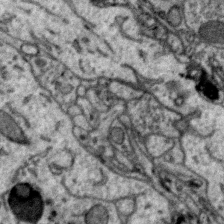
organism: Zebra finch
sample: Brain